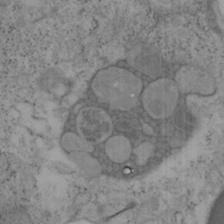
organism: Mouse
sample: OT-I killer T cells with ID8 ovarian cancer cells